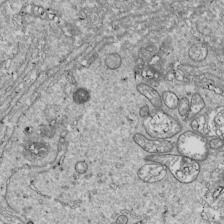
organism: Drosophila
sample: Cell division; meiosis; drosophila spermatocytes